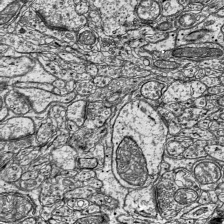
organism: Mouse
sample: Visual Cortex